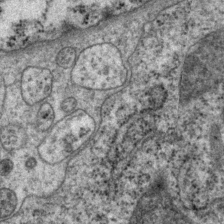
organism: P. pacificus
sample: Pharynx